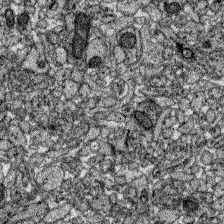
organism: Zebrafish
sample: Larval olfactory bulb